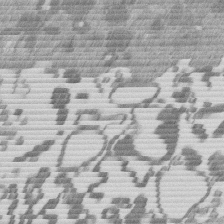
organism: Mouse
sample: Dividing mouse embryo 1 cell stage